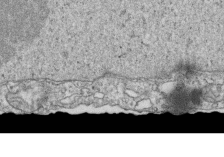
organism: Human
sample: HeLa cell HIV synapse